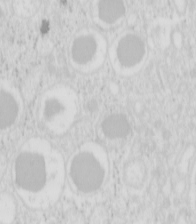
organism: Mouse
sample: Pancreas